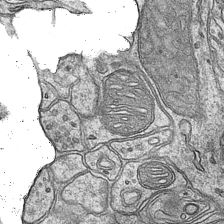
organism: Mouse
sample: CA1 Hippocampus